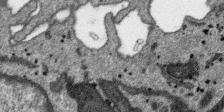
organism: Human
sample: Lung epithelial cells, uninfected (mock) control